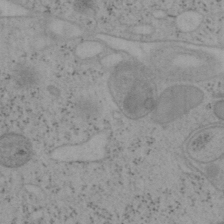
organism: Mouse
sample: OT-I killer T cells with ID8 ovarian cancer cells